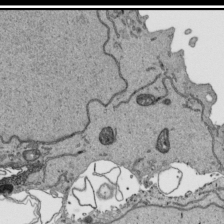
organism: Human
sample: Mitochondria in HCT116 cells